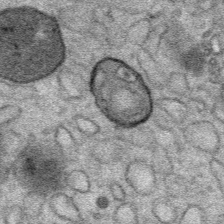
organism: Mouse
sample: Mouse Salivary gland